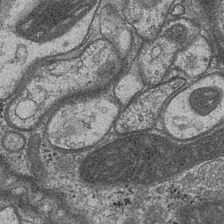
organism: Drosophila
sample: Optic medulla